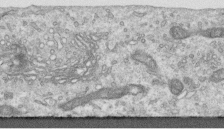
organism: Human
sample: Centriole in RPE cells